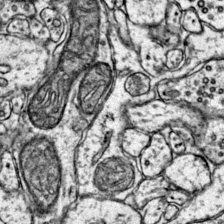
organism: Mouse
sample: Primary visual cortex